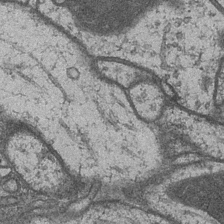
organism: Drosophila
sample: Optic medulla